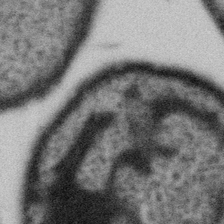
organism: Gemmata obscuriglobus